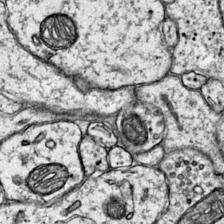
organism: Mouse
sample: Primary visual cortex